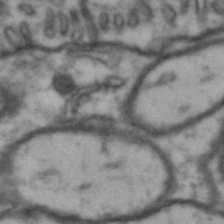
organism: Drosophila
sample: Brain